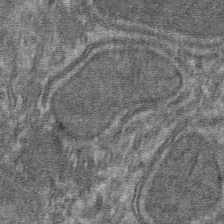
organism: Mouse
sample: Mouse hepatocytes